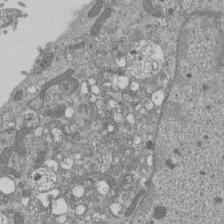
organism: Mouse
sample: ED-1 cell nuclei; centrioles